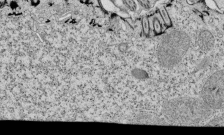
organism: Tetrahymena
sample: Cilia in tetrahymena